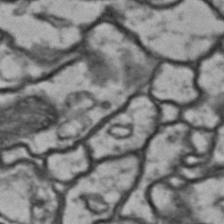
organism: Drosophila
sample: Brain